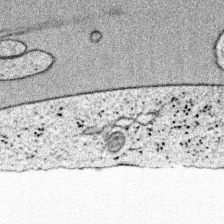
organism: Human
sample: HeLa cells